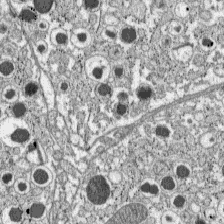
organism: C57BL Mouse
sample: Pancreatic islet